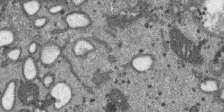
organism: Human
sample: Lung epithelial cells infected with SARS-CoV-2